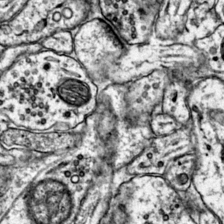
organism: Mouse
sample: Primary visual cortex